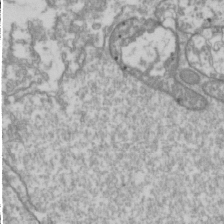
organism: Drosophila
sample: Cell division; meiosis; drosophila spermatocytes